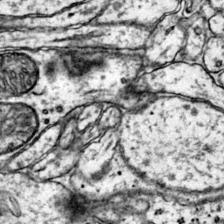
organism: Mouse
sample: Primary visual cortex